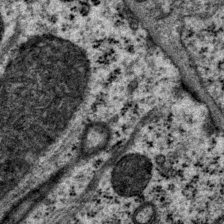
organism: P. pacificus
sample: Pharynx